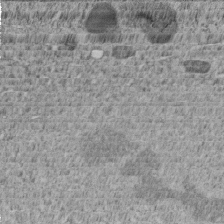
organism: C. elegans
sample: C. elegans embryo early stage